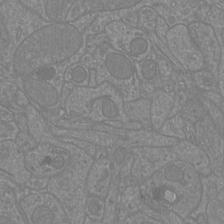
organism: Mouse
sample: Cortical neurons